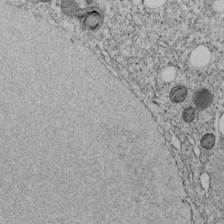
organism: C. elegans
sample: C. elegans embryo early stage